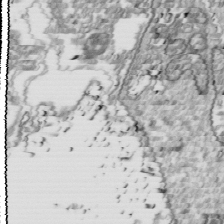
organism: Drosophila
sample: Cell division; meiosis; drosophila spermatocytes